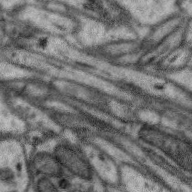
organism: Zebra finch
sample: Brain